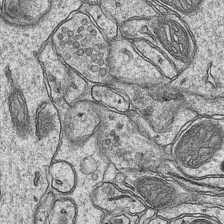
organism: Mouse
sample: CA1 Hippocampus